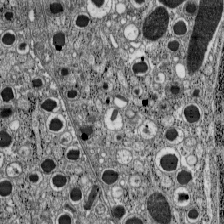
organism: C57BL Mouse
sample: Pancreatic islet